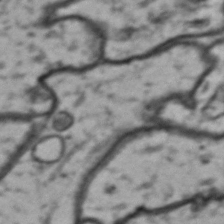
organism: Drosophila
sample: Brain